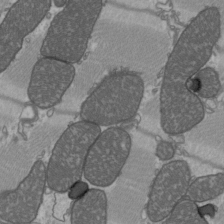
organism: C57BL Mouse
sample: Heart